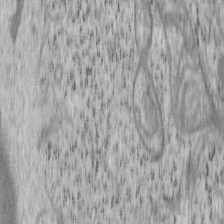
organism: Human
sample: HeLa cells